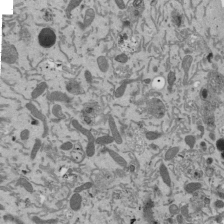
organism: Mouse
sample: ED-1 cell nuclei; centrioles